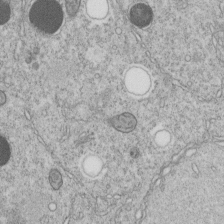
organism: C. elegans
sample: C. elegans embryo early stage